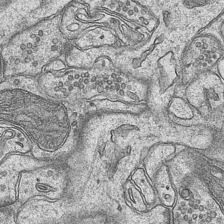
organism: Mouse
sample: CA1 Hippocampus